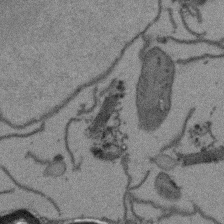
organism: Arabidopsis thaliana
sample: Root tip